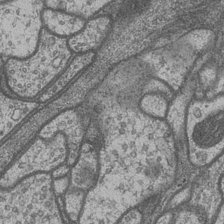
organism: Drosophila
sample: Optic medulla